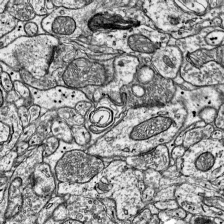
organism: Mouse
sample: Visual Cortex